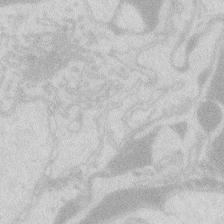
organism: Zebrafish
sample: Macrophage